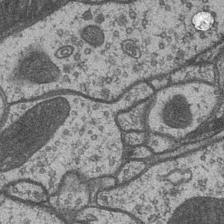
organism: Drosophila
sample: Optic medulla